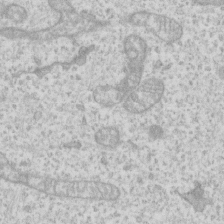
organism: Human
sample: Fibroblast cells